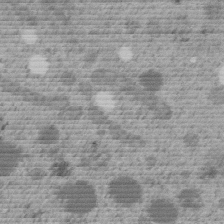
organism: C. elegans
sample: C. elegans embryo early stage